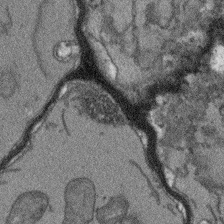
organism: Arabidopsis thaliana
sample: Root tip